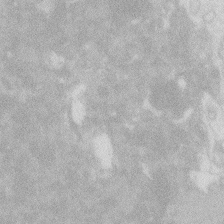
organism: Zebrafish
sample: Macrophage